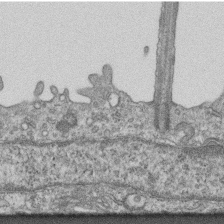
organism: Mouse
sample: Centriole in ependymal cells